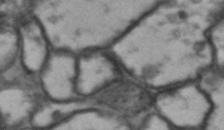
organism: Drosophila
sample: Brain